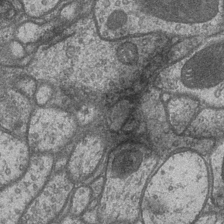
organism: Drosophila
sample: Optic medulla